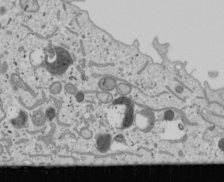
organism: Human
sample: Mitochondria in U2OS cells